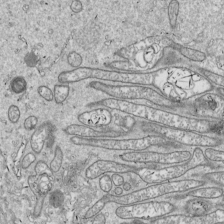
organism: Drosophila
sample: Cell division; meiosis; drosophila spermatocytes